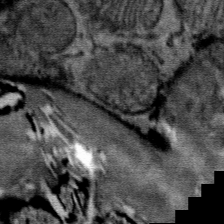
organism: Mouse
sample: Mouse Salivary gland